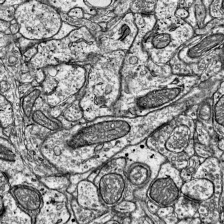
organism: Mouse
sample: Visual Cortex